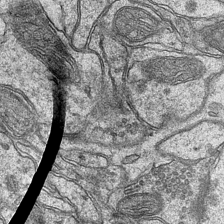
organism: Mouse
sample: CA1 Hippocampus